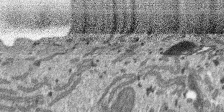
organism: Human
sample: Lung epithelial cells infected with SARS-CoV-2